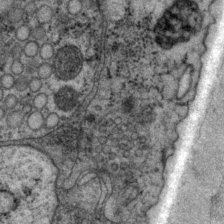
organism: P. pacificus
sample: Pharynx